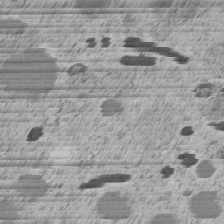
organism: C. elegans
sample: C. elegans embryo early stage